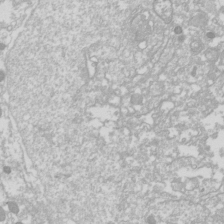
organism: Drosophila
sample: Cell division; meiosis; drosophila spermatocytes